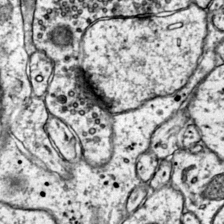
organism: Mouse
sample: Primary visual cortex